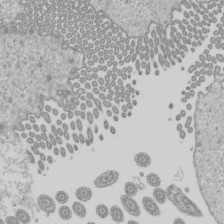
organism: Mouse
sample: Cilia; mouse epididymis